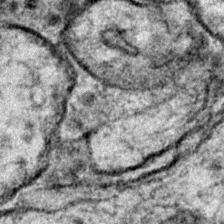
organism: Zebrafish